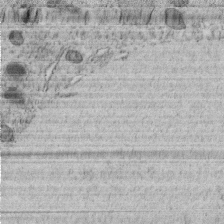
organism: C. elegans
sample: C. elegans embryo early stage